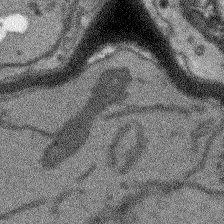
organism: Arabidopsis thaliana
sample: Root tip